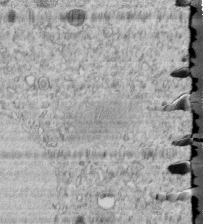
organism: C. elegans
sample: C. elegans embryo early stage